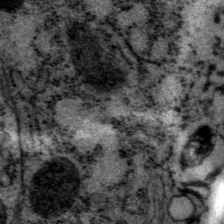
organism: P. pacificus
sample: Pharynx